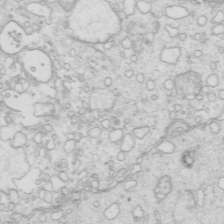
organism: Mouse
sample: Multiciliated cells